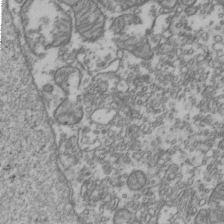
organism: Human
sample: Activated Jurkat CD4+ T cells